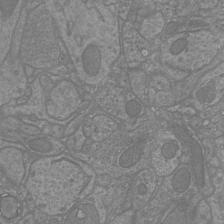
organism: Mouse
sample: Cortical neurons